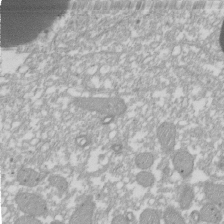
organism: Xenopus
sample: Cilia; centrioles in frog embryo cells